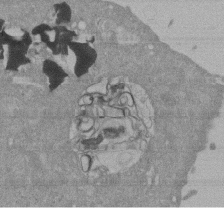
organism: Mouse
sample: ED-1 cell nuclei; centrioles